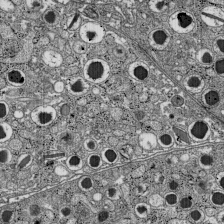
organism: C57BL Mouse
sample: Pancreatic islet